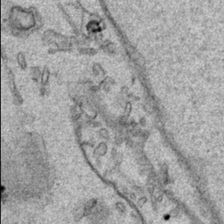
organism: Human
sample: Mitochondria in HCT116 cells